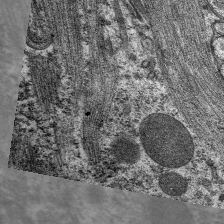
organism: C. elegans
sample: Pharynx